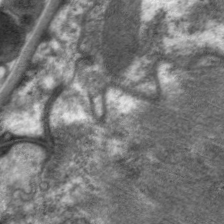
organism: C. elegans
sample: Pharynx